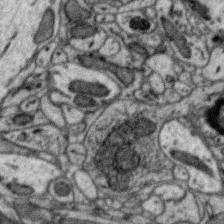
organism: Zebra finch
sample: Brain